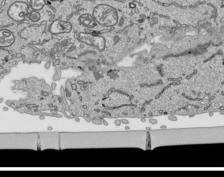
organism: Human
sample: Mitochondria in HCT116 cells